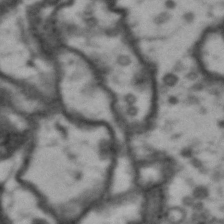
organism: Drosophila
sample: Brain